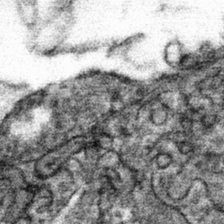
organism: Mouse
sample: Mouse hepatocytes